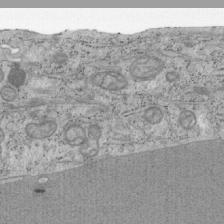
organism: Human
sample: HeLa cells